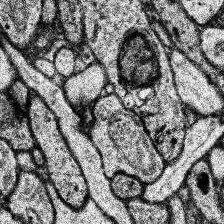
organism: Human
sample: Temporal Lobe